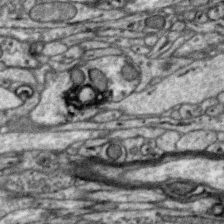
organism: Zebra finch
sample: Brain